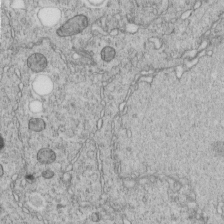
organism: C. elegans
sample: C. elegans embryo early stage